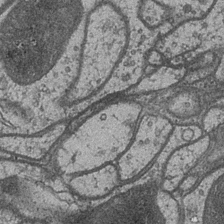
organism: Drosophila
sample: Optic medulla